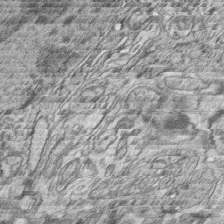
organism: Zebrafish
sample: synaptic ribbons in rod cells and cone cells